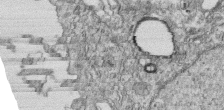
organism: Human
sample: HeLa cell HIV synapse